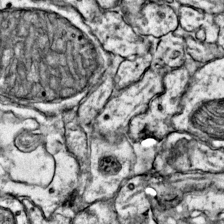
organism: Mouse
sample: Primary visual cortex